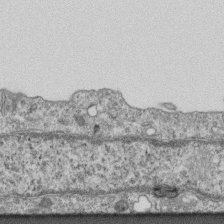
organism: Mouse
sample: Centriole in ependymal cells